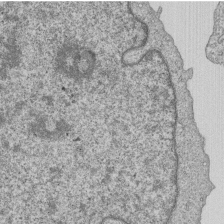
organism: Human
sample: MDA-MB-231 cells